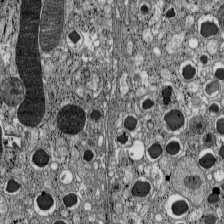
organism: C57BL Mouse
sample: Pancreatic islet